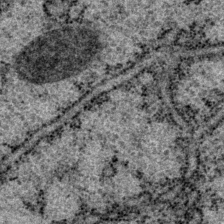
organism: P. pacificus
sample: Pharynx